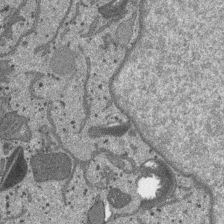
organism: Human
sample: Lung epithelial cells infected with SARS-CoV-2